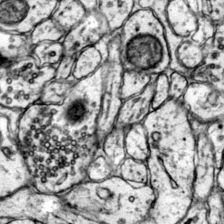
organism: Mouse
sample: Primary visual cortex